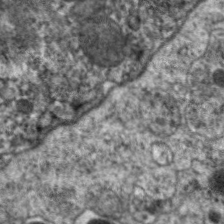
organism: C. elegans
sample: Pharynx